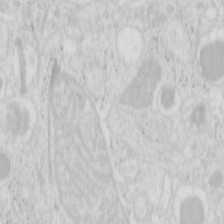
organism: Mouse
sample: Pancreas